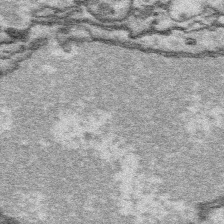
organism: Platynereis dumerilii